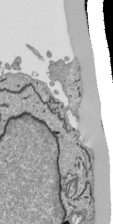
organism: Human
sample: Mitochondria in HCT116 cells